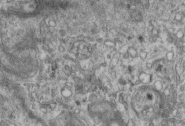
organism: Mouse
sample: Centriole in ependymal cells